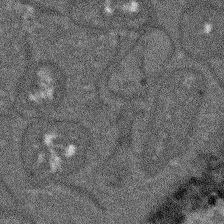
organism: Arabidopsis thaliana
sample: Root tip